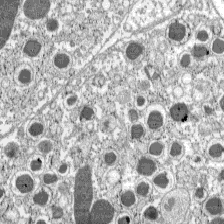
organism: C57BL Mouse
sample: Pancreatic islet